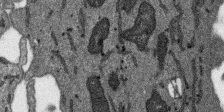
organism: Human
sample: Lung epithelial cells infected with SARS-CoV-2